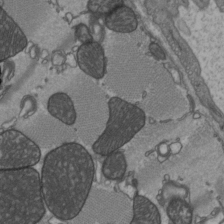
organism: C57BL Mouse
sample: Heart